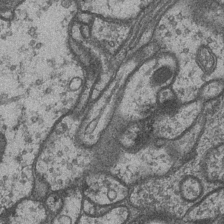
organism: Drosophila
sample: Optic medulla